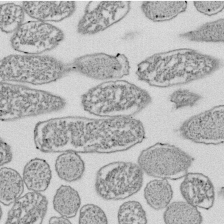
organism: E. coli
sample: Bacterial nucleoid